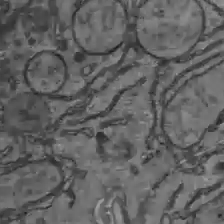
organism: C57BL Mouse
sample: Liver